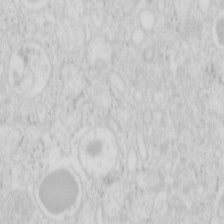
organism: Mouse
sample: Pancreas